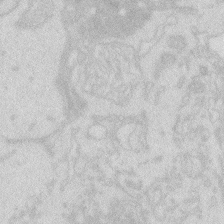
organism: Zebrafish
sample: Macrophage